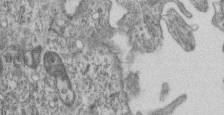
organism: Mouse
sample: Centriole in ependymal cells